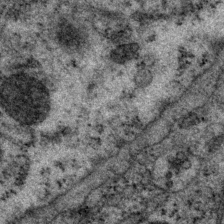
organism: P. pacificus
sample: Pharynx